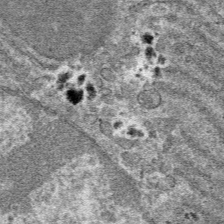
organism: Mouse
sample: Mouse hepatocytes